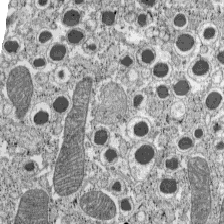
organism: C57BL Mouse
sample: Pancreatic islet